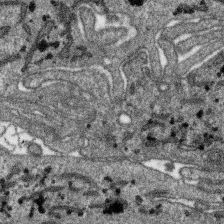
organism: Human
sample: Lung epithelial cells infected with SARS-CoV-2